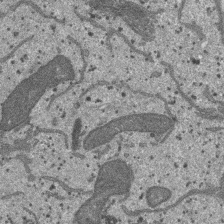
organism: Human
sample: Lung epithelial cells infected with SARS-CoV-2